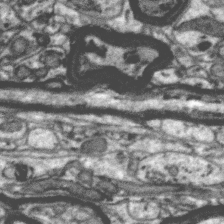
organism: Zebra finch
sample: Brain